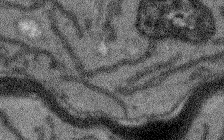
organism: Arabidopsis thaliana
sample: Root tip